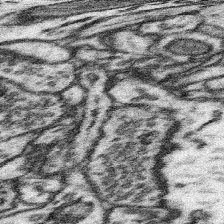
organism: Mouse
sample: Somatosensory cortex neuropil